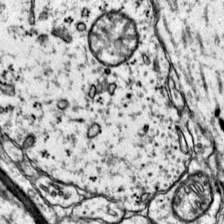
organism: Mouse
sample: Primary visual cortex